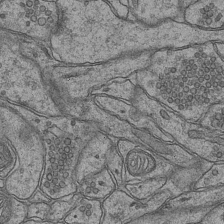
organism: Mouse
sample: CA1 Hippocampus